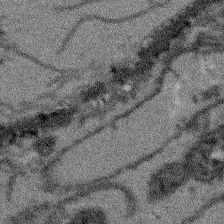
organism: Arabidopsis thaliana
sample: Root tip